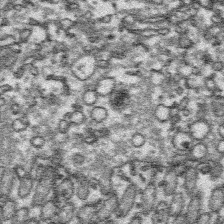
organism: Platynereis dumerilii